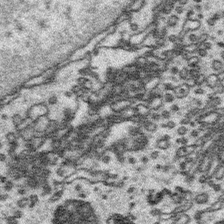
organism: Platynereis dumerilii